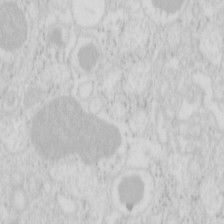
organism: Mouse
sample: Pancreas